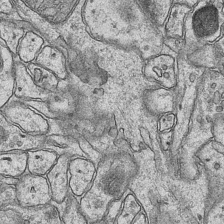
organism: Mouse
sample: CA1 Hippocampus